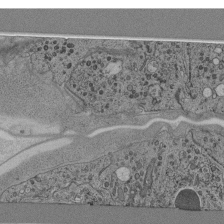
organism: C. elegans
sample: C. elegans pharynx